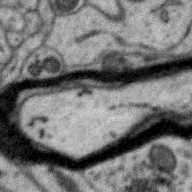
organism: Zebra finch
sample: Brain